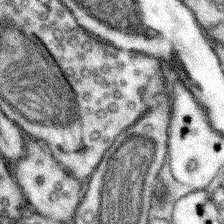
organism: Mouse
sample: Somatosensory cortex neuropil